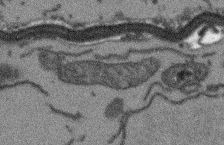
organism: Arabidopsis thaliana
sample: Root tip